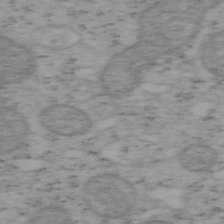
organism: Mouse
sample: OT-I killer T cells with ID8 ovarian cancer cells